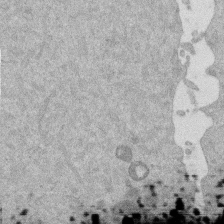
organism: Mouse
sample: Dividing mouse embryo 1 cell stage